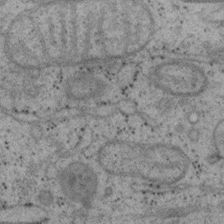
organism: Human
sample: HeLa cells